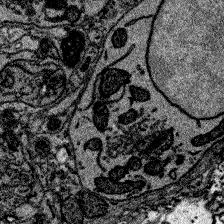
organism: Zebrafish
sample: Larval olfactory bulb